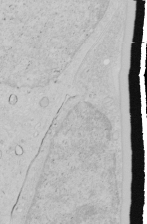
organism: Human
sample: Mitochondria in HCT116 cells